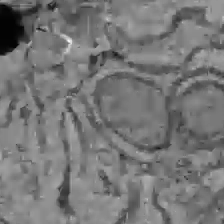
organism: C57BL Mouse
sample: Liver